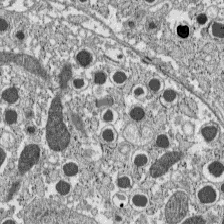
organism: C57BL Mouse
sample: Pancreatic islet